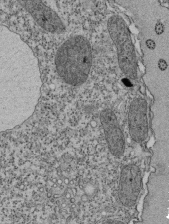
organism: Tetrahymena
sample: Cilia in tetrahymena